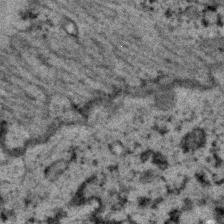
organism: C. elegans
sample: C. elegans embryo